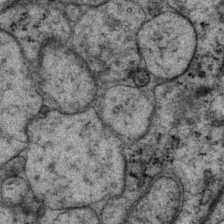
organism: P. pacificus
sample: Pharynx